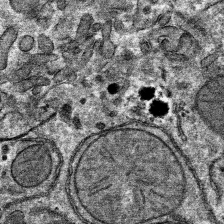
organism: Mouse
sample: Mouse hepatocytes